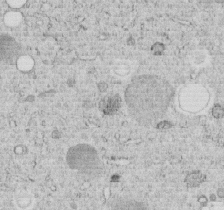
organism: C. elegans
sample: C. elegans embryo early stage